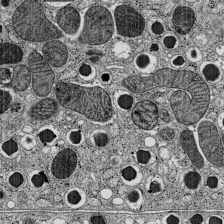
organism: C57BL Mouse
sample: Pancreatic islet